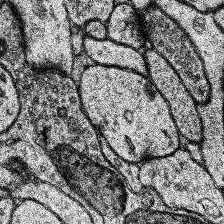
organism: Human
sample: Temporal Lobe